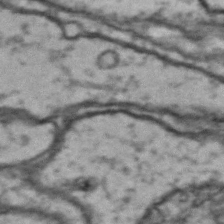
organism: Drosophila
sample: Brain